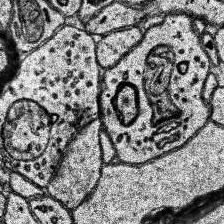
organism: Human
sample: Temporal Lobe